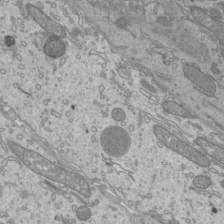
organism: Mouse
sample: Cilia; mouse epididymis